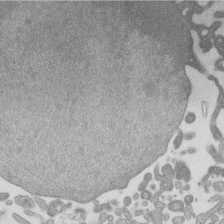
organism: Mouse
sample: Dividing mouse embryo 1 cell stage